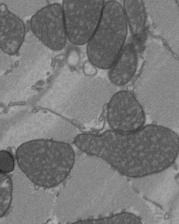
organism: C57BL Mouse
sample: Heart